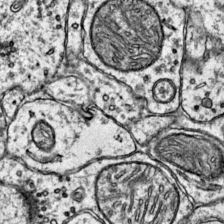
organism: Mouse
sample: Primary visual cortex